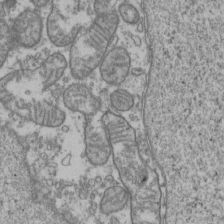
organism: Human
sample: Activated Jurkat CD4+ T cells